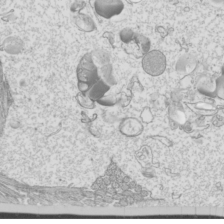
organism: Mouse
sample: Cilia; mouse epididymis